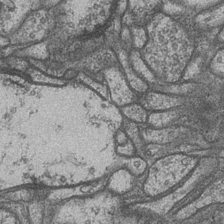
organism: Drosophila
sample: Optic medulla